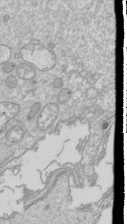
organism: Drosophila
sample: Cell division; meiosis; drosophila spermatocytes